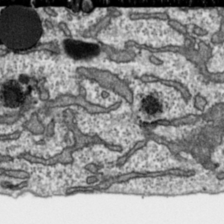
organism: Toxoplasma gondii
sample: Parasites in a vacuole inside a host cell